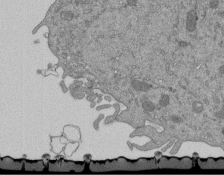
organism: Mouse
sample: ED-1 cell nuclei; centrioles